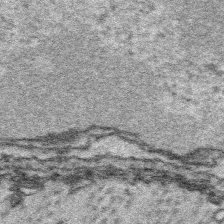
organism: Platynereis dumerilii